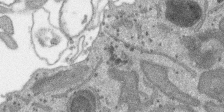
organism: Human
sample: Lung epithelial cells infected with SARS-CoV-2